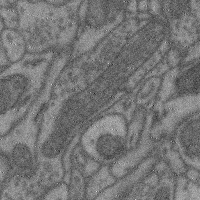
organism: Mouse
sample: Cerebral cortex